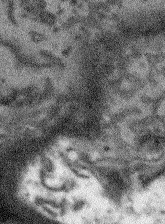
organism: Arabidopsis thaliana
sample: Root tip